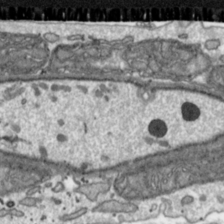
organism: Toxoplasma gondii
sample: Parasites in a vacuole inside a host cell